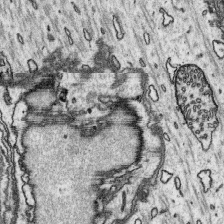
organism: Platynereis dumerilii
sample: Parapodia